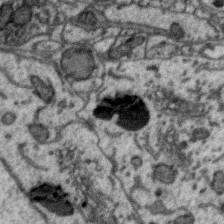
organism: Zebra finch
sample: Brain